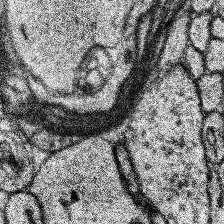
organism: Human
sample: Temporal Lobe